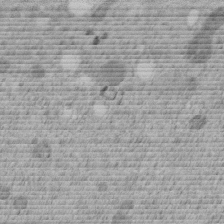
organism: C. elegans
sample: C. elegans embryo early stage